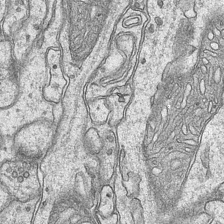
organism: Mouse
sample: CA1 Hippocampus